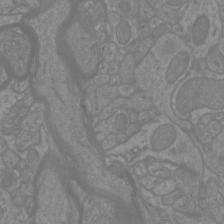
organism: Mouse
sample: Cortical neurons